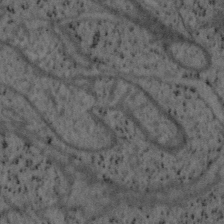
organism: Human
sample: HeLa cells